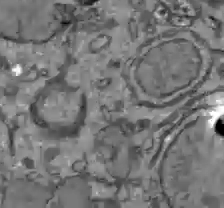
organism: C57BL Mouse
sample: Liver